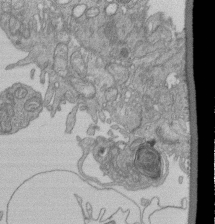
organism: Human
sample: Retinal organoid Rod and Cone cells